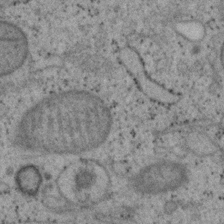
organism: Human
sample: HeLa cells